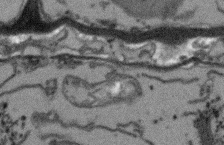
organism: Arabidopsis thaliana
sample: Root tip